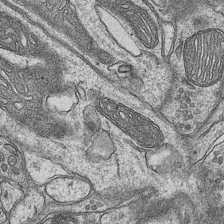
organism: Mouse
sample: CA1 Hippocampus